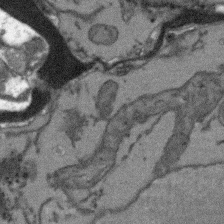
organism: Arabidopsis thaliana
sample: Root tip